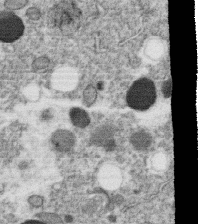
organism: C. elegans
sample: C. elegans oocyte; sperm cells